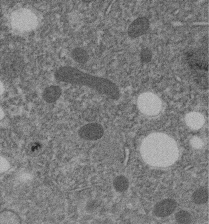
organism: C. elegans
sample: C. elegans embryo early stage